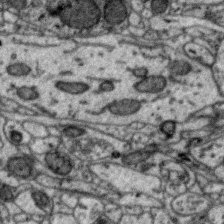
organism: Zebra finch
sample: Brain